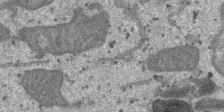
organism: Human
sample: Lung epithelial cells infected with SARS-CoV-2